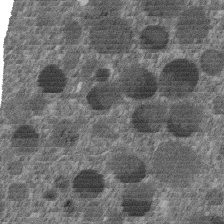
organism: C. elegans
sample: C. elegans embryo early stage